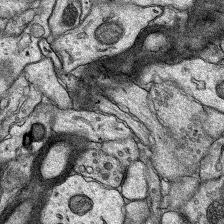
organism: Rat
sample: Hippocampus